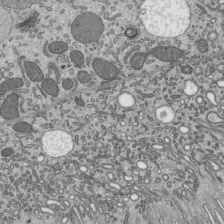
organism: Mouse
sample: Mouse epididymis efferent ductule cilia